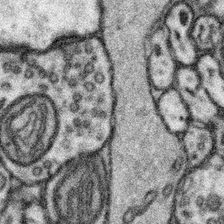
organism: Mouse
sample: Somatosensory cortex neuropil